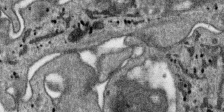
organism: Human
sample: Lung epithelial cells, uninfected (mock) control